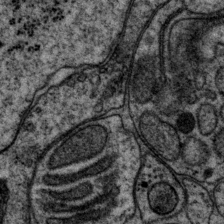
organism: P. pacificus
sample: Pharynx